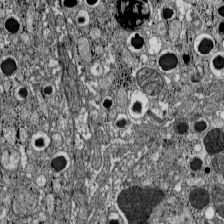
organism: C57BL Mouse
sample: Pancreatic islet